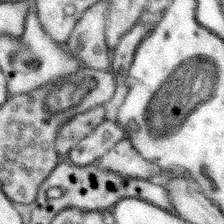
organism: Mouse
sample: Somatosensory cortex neuropil